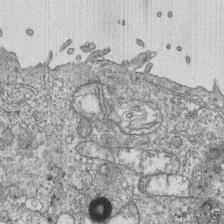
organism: Human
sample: HeLa cell HIV synapse